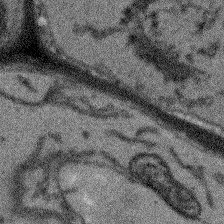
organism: Arabidopsis thaliana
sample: Root tip